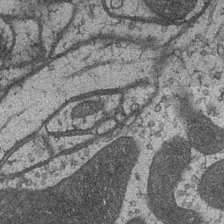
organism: Drosophila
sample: Optic medulla